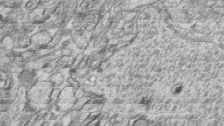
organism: Zebrafish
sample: synaptic ribbons in rod cells and cone cells